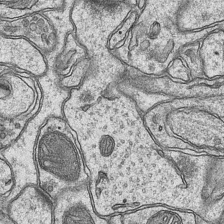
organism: Mouse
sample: CA1 Hippocampus